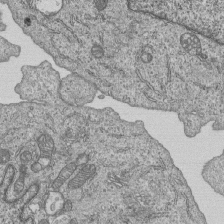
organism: Human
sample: MDA-MB-231 cells